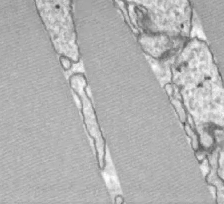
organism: Zebrafish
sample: Actinotrichia fibers